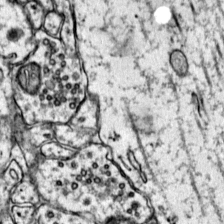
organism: Mouse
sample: Primary visual cortex